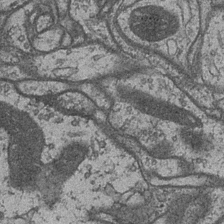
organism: Drosophila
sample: Optic medulla